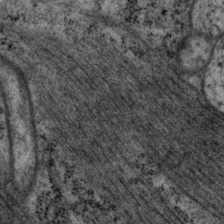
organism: P. pacificus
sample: Pharynx